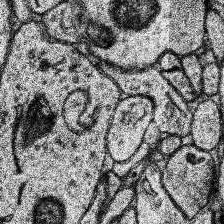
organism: Human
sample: Temporal Lobe